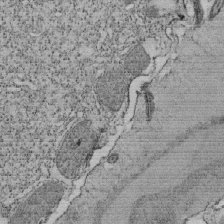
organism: Tetrahymena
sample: Cilia in tetrahymena